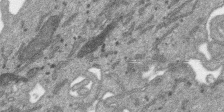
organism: Human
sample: Lung epithelial cells infected with SARS-CoV-2